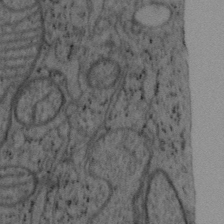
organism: Human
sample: HeLa cells